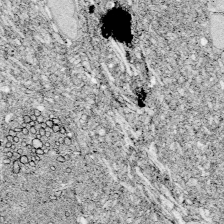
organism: Zebrafish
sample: Whole-Brain